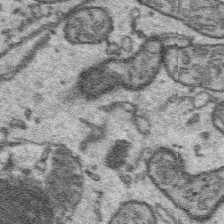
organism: Platynereis dumerilii